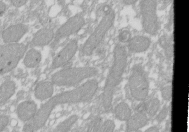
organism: Xenopus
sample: Cilia; centrioles in frog embryo cells